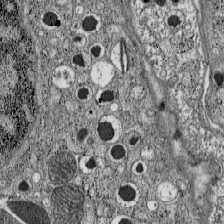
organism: C57BL Mouse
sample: Pancreatic islet